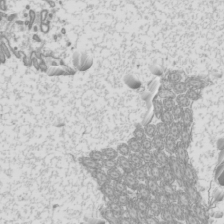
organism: Mouse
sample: Cilia; mouse epididymis